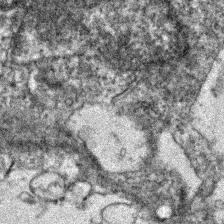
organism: Zebrafish